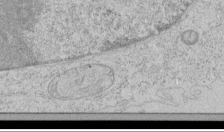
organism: Human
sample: Mitochondria in HCT116 cells